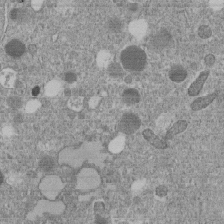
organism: C. elegans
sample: C. elegans embryo early stage